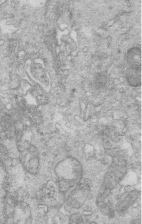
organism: Mouse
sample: Multiciliated cells